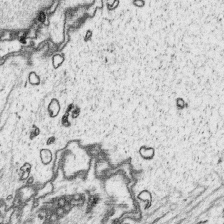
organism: Platynereis dumerilii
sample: Parapodia